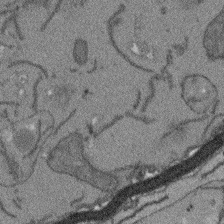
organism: Arabidopsis thaliana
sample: Root tip